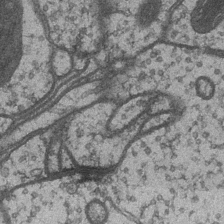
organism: Drosophila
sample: Optic medulla